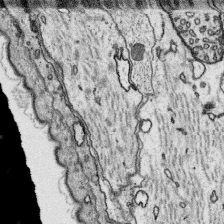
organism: Platynereis dumerilii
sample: Parapodia